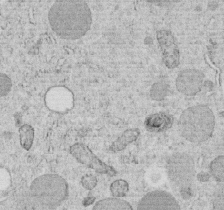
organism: C. elegans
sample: C. elegans embryo early stage